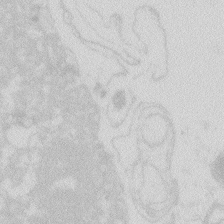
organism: Zebrafish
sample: Macrophage